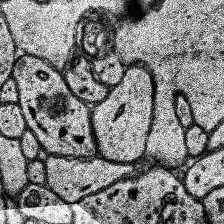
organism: Human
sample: Temporal Lobe